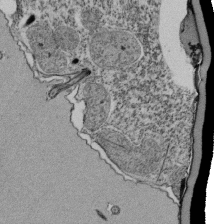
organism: Tetrahymena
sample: Cilia in tetrahymena